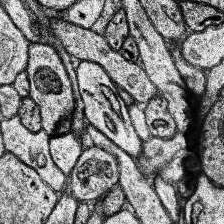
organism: Human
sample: Temporal Lobe